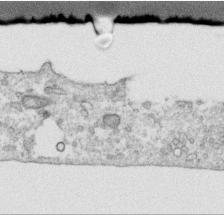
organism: Human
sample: Centriole in RPE cells